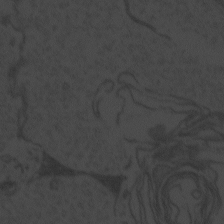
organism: Zebrafish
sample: Macrophage infected with Toxoplasma gondii